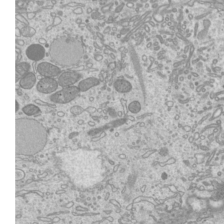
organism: Mouse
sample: Cilia; mouse epididymis